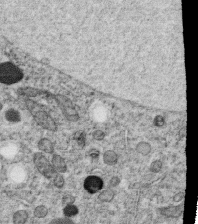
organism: C. elegans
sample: C. elegans oocyte; sperm cells